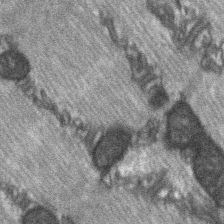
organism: C57BL Mouse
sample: Soleus